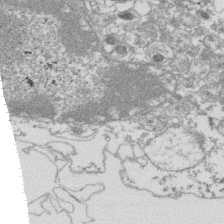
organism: Human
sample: HeLa cell HIV synapse